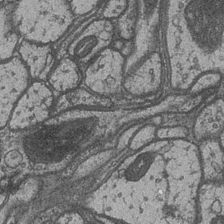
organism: Drosophila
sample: Optic medulla